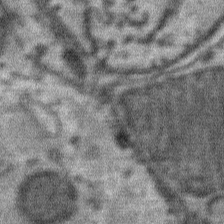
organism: Mouse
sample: Mouse Salivary gland